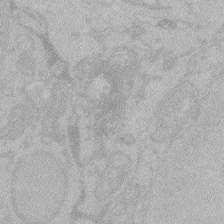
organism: Zebrafish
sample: Macrophage infected with Toxoplasma gondii